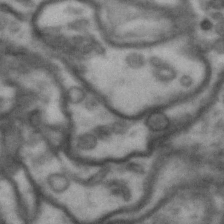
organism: Drosophila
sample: Brain